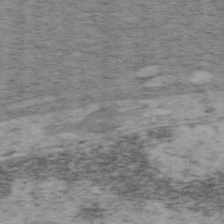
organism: Mouse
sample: OT-I killer T cells with ID8 ovarian cancer cells